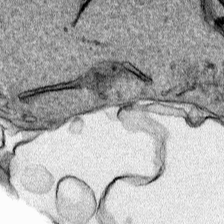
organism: Human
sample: Mitochondria in HCT116 cells